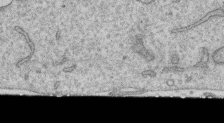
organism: Human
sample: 1205lu cells